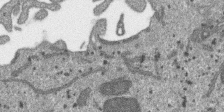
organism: Human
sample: Lung epithelial cells infected with SARS-CoV-2